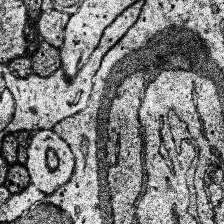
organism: Human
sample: Temporal Lobe